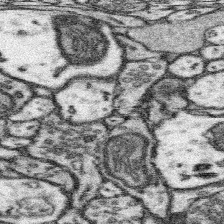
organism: Mouse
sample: Somatosensory cortex neuropil